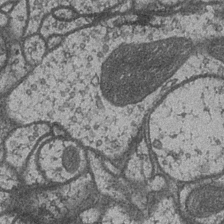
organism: Drosophila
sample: Optic medulla